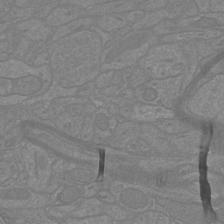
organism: Mouse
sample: Cortical neurons